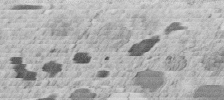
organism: C. elegans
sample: C. elegans embryo early stage